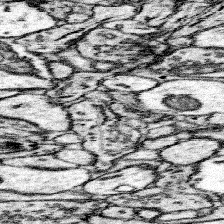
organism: Mouse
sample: Somatosensory cortex neuropil